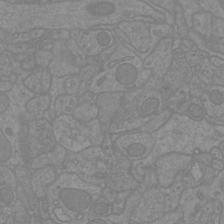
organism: Mouse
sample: Cortical neurons